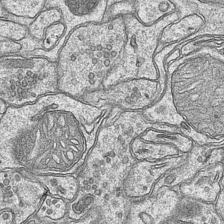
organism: Mouse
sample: CA1 Hippocampus